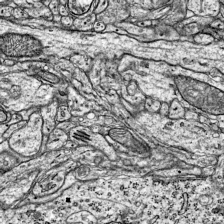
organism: Mouse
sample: Visual Cortex